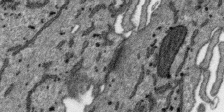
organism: Human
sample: Lung epithelial cells, uninfected (mock) control